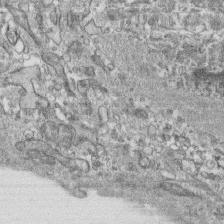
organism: Human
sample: CRL-1474